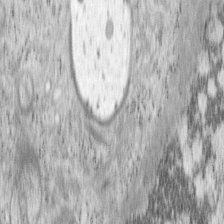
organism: Human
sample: HeLa cells